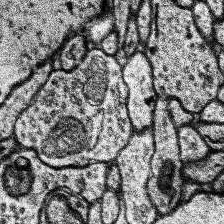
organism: Human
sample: Temporal Lobe